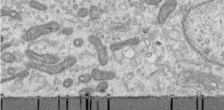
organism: Human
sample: Centriole in RPE cells